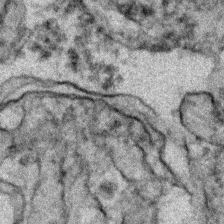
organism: Zebrafish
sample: Zebrafish embryo